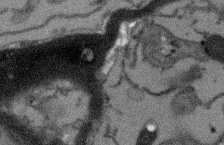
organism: Arabidopsis thaliana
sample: Root tip